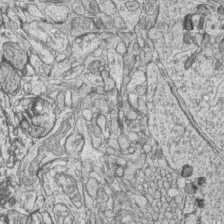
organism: Zebrafish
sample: synaptic ribbons in rod cells and cone cells